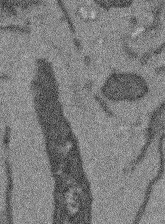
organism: Arabidopsis thaliana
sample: Root tip